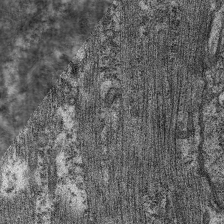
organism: C. elegans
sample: Pharynx